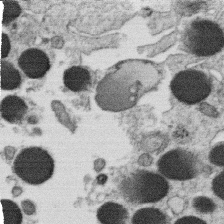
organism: C. elegans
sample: C. elegans oocyte; sperm cells